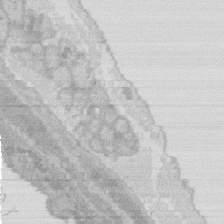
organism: Rat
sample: Salivary granule